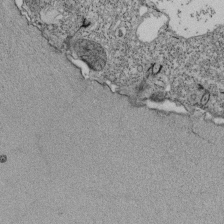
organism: Tetrahymena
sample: Cilia in tetrahymena